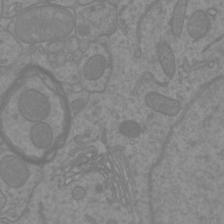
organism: Mouse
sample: Cortical neurons